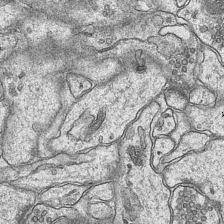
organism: Mouse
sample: CA1 Hippocampus